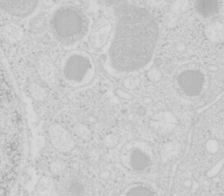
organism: Mouse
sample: Pancreas